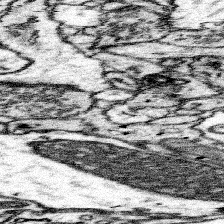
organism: Mouse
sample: Somatosensory cortex neuropil